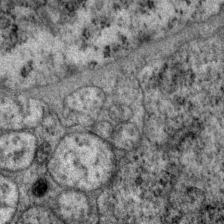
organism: P. pacificus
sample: Pharynx